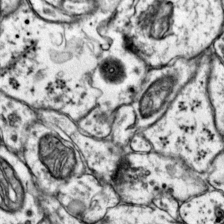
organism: Mouse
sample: Primary visual cortex